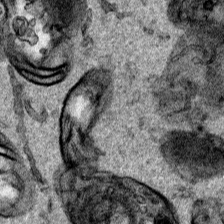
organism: Human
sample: Mitochondria in HCT116 cells